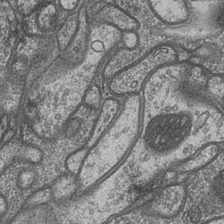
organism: Drosophila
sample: Optic medulla